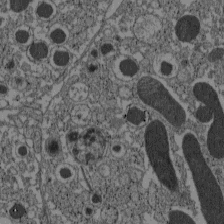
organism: C57BL Mouse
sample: Pancreatic islet